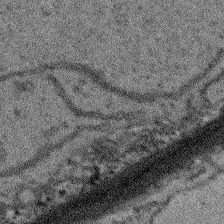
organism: Arabidopsis thaliana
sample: Root tip